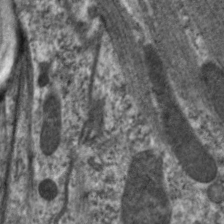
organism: C. elegans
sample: Pharynx